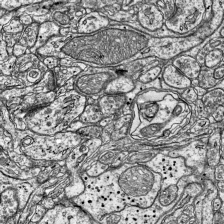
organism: Mouse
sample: Visual Cortex